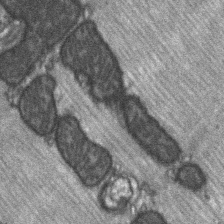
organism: C57BL Mouse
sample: Soleus